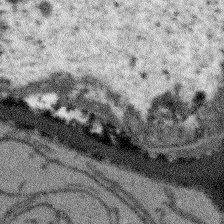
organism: Arabidopsis thaliana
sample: Root tip